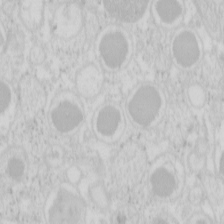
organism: Mouse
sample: Pancreas